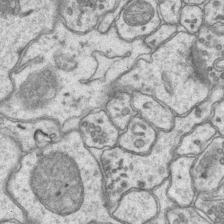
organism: Mouse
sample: CA1 Hippocampus